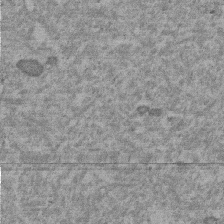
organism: Mouse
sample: Dividing mouse embryo 1 cell stage